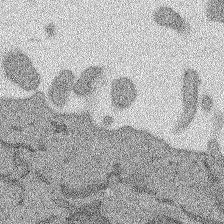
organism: Human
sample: HeLa cells